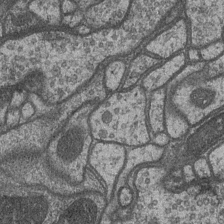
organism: Drosophila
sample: Optic medulla